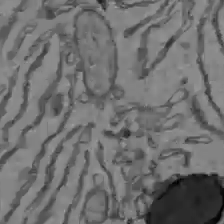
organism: C57BL Mouse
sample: Liver